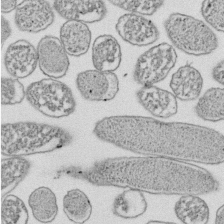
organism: E. coli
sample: Bacterial nucleoid